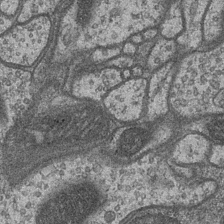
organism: Drosophila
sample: Optic medulla